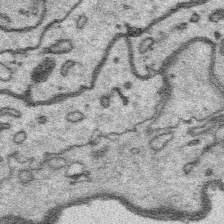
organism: Platynereis dumerilii